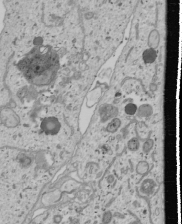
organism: Human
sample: Mitochondria in U2OS cells